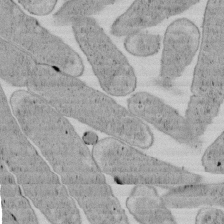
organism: E. coli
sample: Bacterial nucleoid